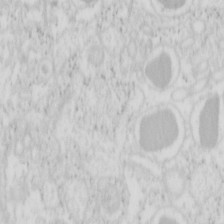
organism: Mouse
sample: Pancreas